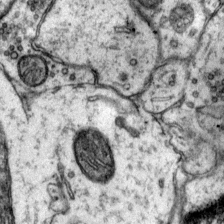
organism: Mouse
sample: Primary visual cortex